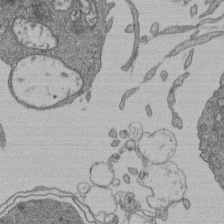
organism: Human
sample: Retinal organoid Rod and Cone cells